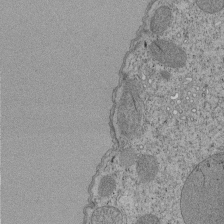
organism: Tetrahymena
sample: Cilia in tetrahymena